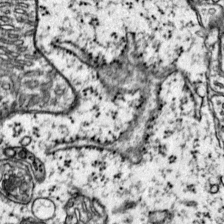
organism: Mouse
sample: Primary visual cortex